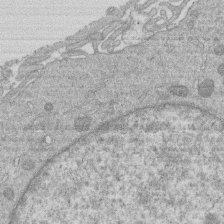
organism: Human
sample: Macrophage cells